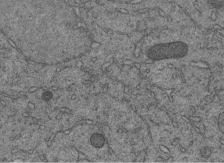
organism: C. elegans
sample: C. elegans embryo early stage